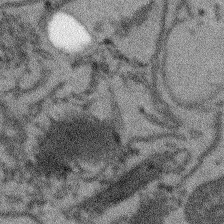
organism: Arabidopsis thaliana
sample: Root tip